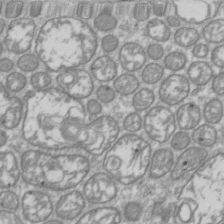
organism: Drosophila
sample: Cell division; meiosis; drosophila spermatocytes